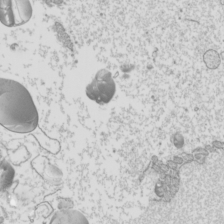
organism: Mouse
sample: Cilia; mouse epididymis